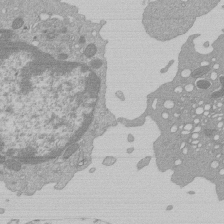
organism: Mouse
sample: Activated Pmel transgenic CD8+ T Cells